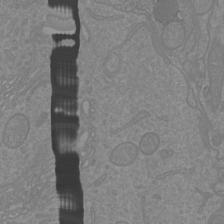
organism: Mouse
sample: Cortical neurons